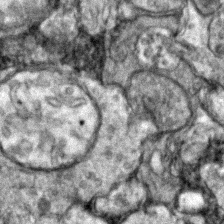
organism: Zebrafish